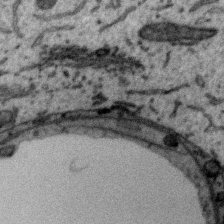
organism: Zebra finch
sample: Brain